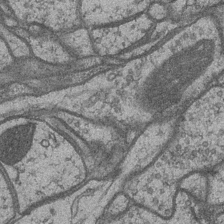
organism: Drosophila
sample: Optic medulla